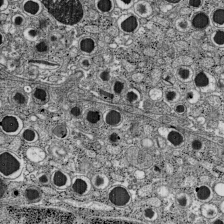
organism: C57BL Mouse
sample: Pancreatic islet